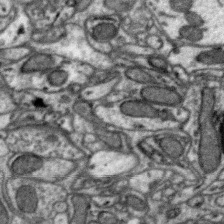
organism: Zebra finch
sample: Brain